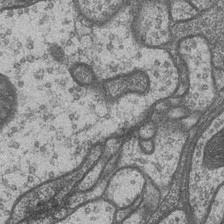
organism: Drosophila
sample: Optic medulla